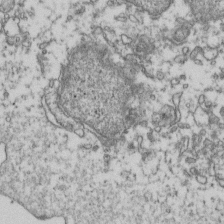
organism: Human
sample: Activated Jurkat CD4+ T cells